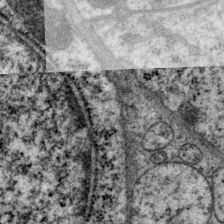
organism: P. pacificus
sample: Pharynx